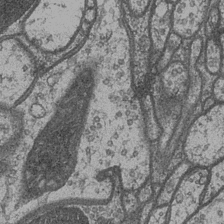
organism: Drosophila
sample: Optic medulla